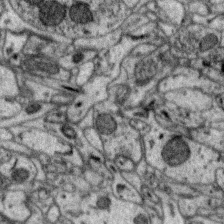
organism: Zebra finch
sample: Brain